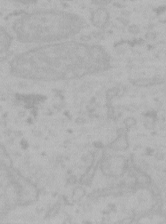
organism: Mouse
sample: Choroid plexus